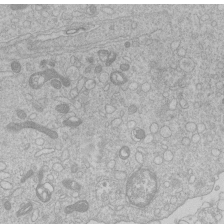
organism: Human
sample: Macrophage cells